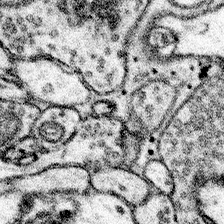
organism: Mouse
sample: Somatosensory cortex neuropil